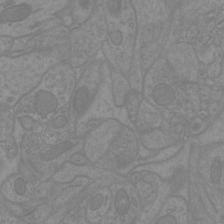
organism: Mouse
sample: Cortical neurons